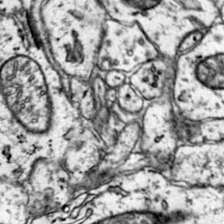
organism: Mouse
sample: Primary visual cortex